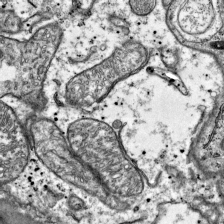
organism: Mouse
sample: Visual Cortex